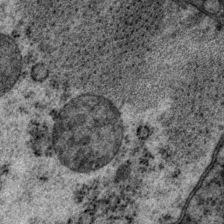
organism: P. pacificus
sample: Pharynx